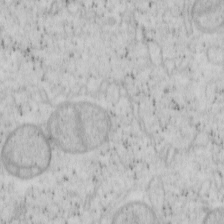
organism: Human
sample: HeLa cells